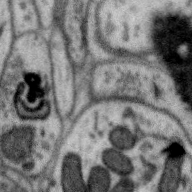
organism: Zebra finch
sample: Brain